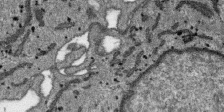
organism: Human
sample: Lung epithelial cells, uninfected (mock) control